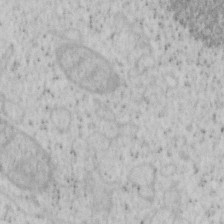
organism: Human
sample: HeLa cells